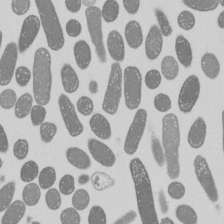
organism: E. coli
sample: Bacterial nucleoid